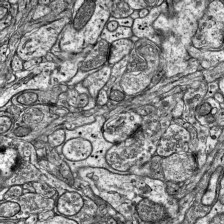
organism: Mouse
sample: Visual Cortex